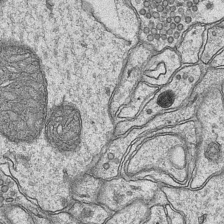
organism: Mouse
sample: CA1 Hippocampus